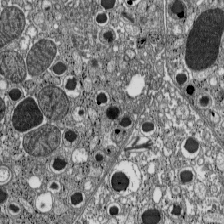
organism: C57BL Mouse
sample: Pancreatic islet